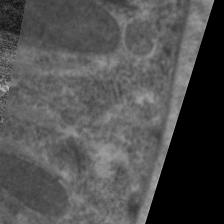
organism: C. elegans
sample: Pharynx